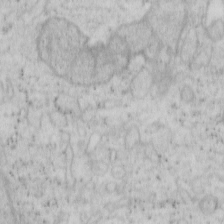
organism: Human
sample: HeLa cells